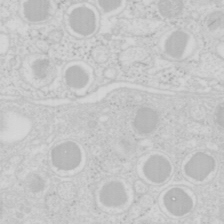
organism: Mouse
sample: Pancreas